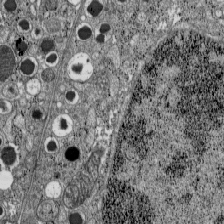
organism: C57BL Mouse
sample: Pancreatic islet